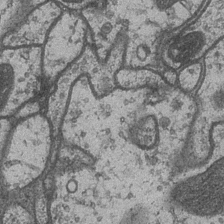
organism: Drosophila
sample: Optic medulla